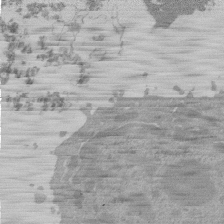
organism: Mouse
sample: Activated Pmel transgenic CD8+ T Cells